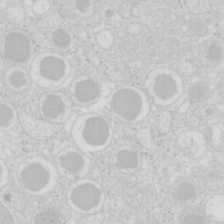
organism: Mouse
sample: Pancreas